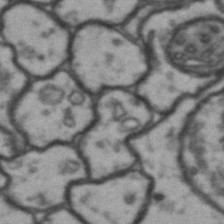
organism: Drosophila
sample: Brain